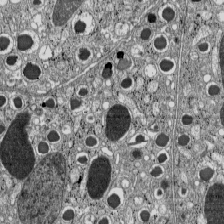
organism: C57BL Mouse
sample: Pancreatic islet